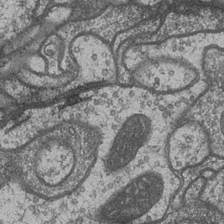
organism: Drosophila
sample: Optic medulla